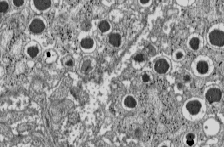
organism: C57BL Mouse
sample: Pancreatic islet